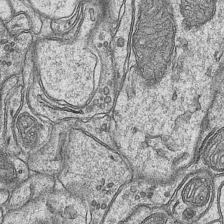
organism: Mouse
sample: CA1 Hippocampus